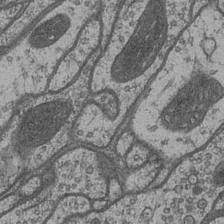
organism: Drosophila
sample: Optic medulla